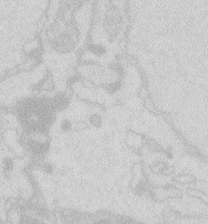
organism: Zebrafish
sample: Macrophage